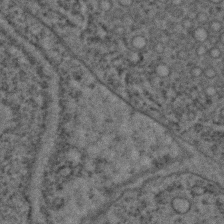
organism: C. elegans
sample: C. elegans embryo